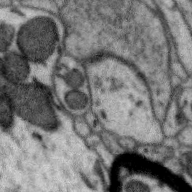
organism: Zebra finch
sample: Brain